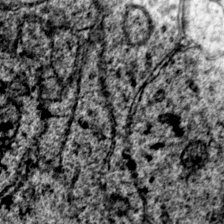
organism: Mouse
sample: Primary visual cortex